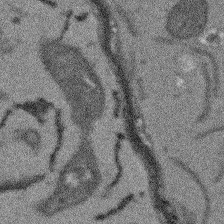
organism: Arabidopsis thaliana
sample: Root tip